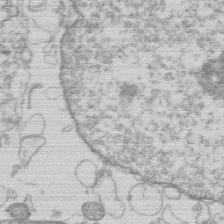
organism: Human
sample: Macrophage cells